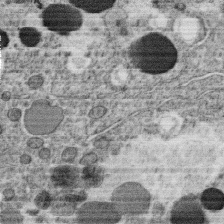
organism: C. elegans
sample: C. elegans oocyte; sperm cells